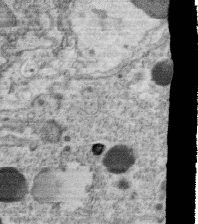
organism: C. elegans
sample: C. elegans oocyte; sperm cells